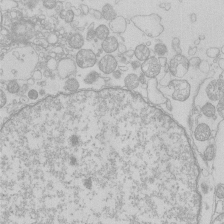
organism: Human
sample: Macrophage cells